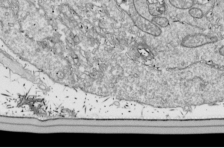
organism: Drosophila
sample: Cell division; meiosis; drosophila spermatocytes